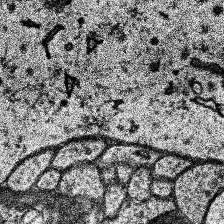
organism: Human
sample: Temporal Lobe